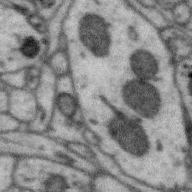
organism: Zebra finch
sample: Brain